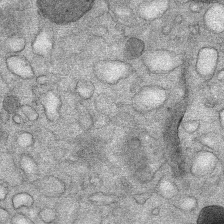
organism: Mouse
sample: Mouse Salivary gland